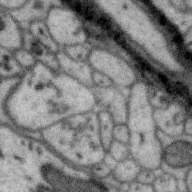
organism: Zebra finch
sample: Brain